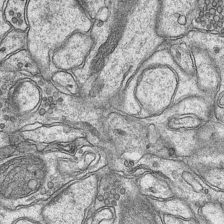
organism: Mouse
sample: CA1 Hippocampus